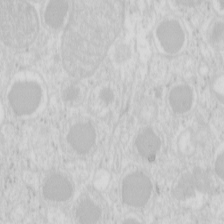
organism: Mouse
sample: Pancreas